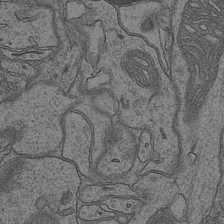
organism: Mouse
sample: CA1 Hippocampus